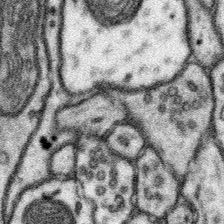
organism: Mouse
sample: Somatosensory cortex neuropil